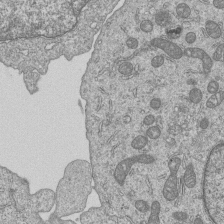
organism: Human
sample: MDA-MB-231 cells